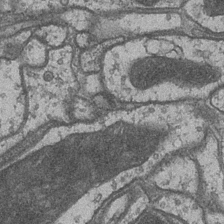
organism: Drosophila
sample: Optic medulla